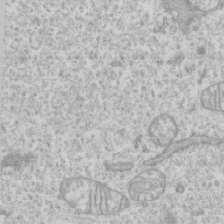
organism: Human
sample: CRL-1474